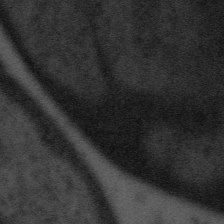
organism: Tuwongella immobilis